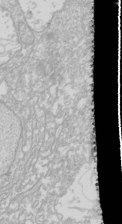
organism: Drosophila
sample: Cell division; meiosis; drosophila spermatocytes